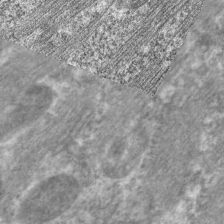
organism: C. elegans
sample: Pharynx